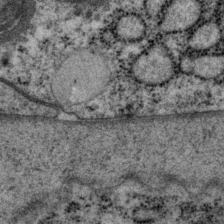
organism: P. pacificus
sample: Pharynx